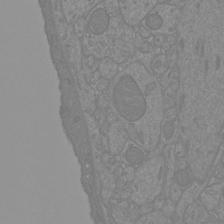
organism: Mouse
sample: Cortical neurons